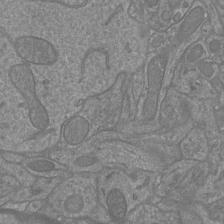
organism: Mouse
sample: Cortical neurons